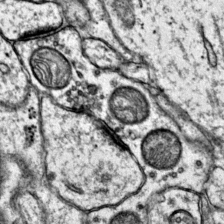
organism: Mouse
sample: Primary visual cortex